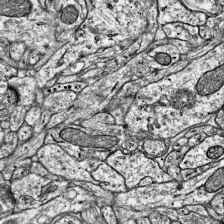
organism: Mouse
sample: Visual Cortex